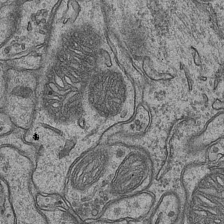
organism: Mouse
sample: CA1 Hippocampus